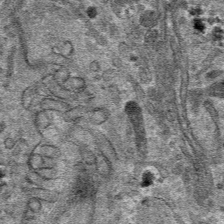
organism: Mouse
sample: Mouse hepatocytes